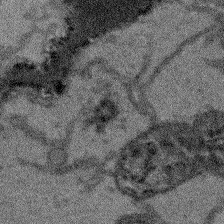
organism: Arabidopsis thaliana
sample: Root tip